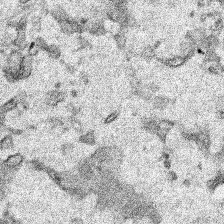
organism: Human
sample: Mitochondria in HCT116 cells